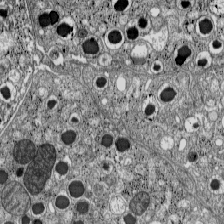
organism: C57BL Mouse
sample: Pancreatic islet